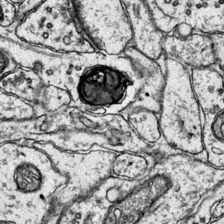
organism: Mouse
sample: Primary visual cortex